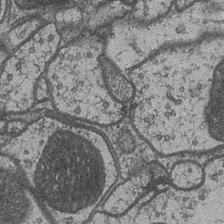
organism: Drosophila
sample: Optic medulla